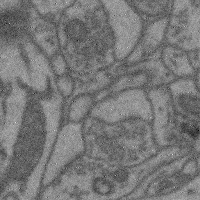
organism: Mouse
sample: Cerebral cortex